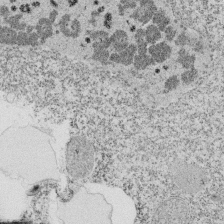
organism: Tetrahymena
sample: Cilia in tetrahymena